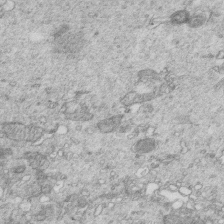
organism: Mouse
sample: Multiciliated cells